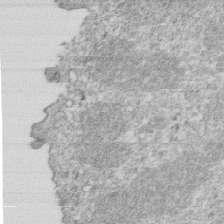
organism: Mouse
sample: Activated OT-1 CD8+ T cells